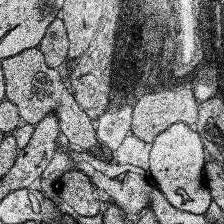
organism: Human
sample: Temporal Lobe